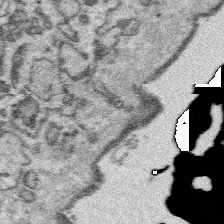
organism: Platynereis dumerilii